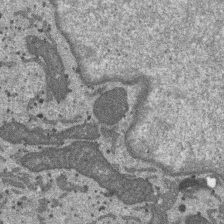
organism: Human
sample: Lung epithelial cells infected with SARS-CoV-2